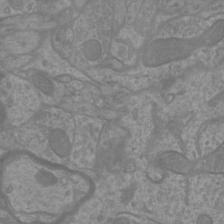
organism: Mouse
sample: Cortical neurons